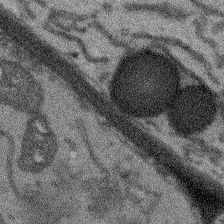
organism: Arabidopsis thaliana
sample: Root tip